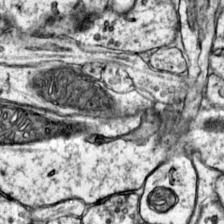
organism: Mouse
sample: Primary visual cortex